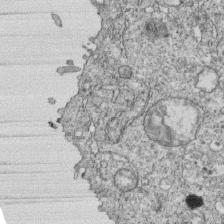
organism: Human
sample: HeLa cell HIV synapse